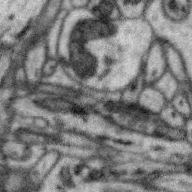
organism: Zebra finch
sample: Brain